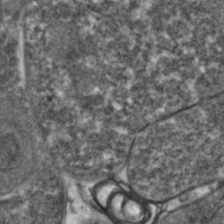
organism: Zebrafish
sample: Zebrafish embryo